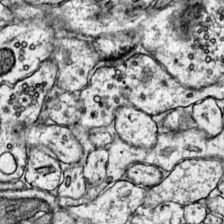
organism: Mouse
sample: Primary visual cortex